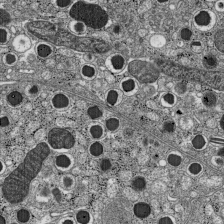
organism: C57BL Mouse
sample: Pancreatic islet